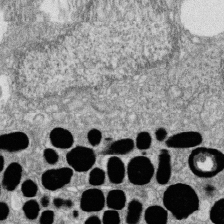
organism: Zebrafish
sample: Cilia; retinal pigment epithelium